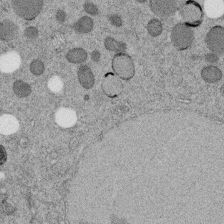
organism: C. elegans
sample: C. elegans embryo early stage